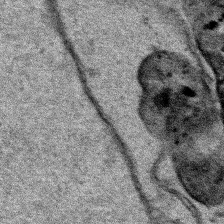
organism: Human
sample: Mitochondria in HCT116 cells